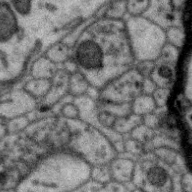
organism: Zebra finch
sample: Brain